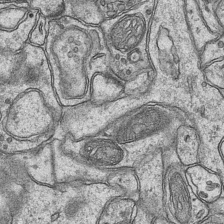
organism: Mouse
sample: CA1 Hippocampus